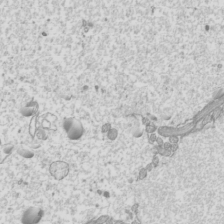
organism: Mouse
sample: Cilia; mouse epididymis